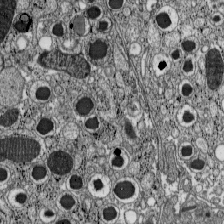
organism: C57BL Mouse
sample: Pancreatic islet